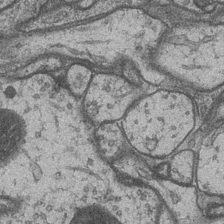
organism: Drosophila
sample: Optic medulla